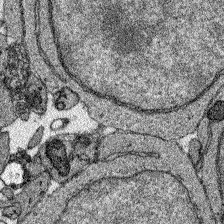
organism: Zebrafish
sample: Larval olfactory bulb